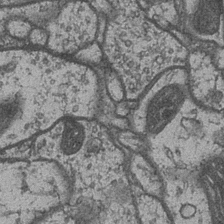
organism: Drosophila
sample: Optic medulla